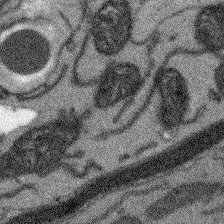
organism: Arabidopsis thaliana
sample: Root tip